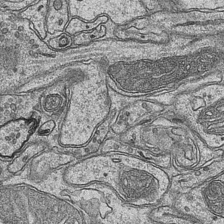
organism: Mouse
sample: CA1 Hippocampus